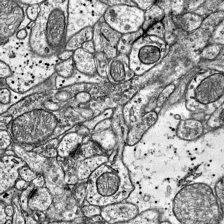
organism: Mouse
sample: Visual Cortex